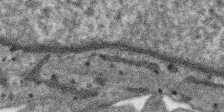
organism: Human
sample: Lung epithelial cells infected with SARS-CoV-2